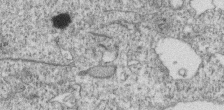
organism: Human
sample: HeLa cell HIV synapse